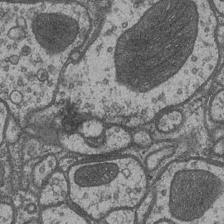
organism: Drosophila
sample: Optic medulla